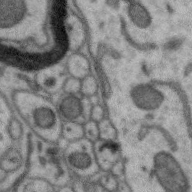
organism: Zebra finch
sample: Brain